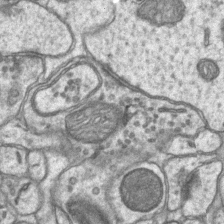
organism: Mouse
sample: CA1 Hippocampus